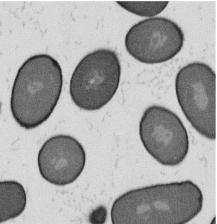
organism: B. subtilis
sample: Bacterial spore